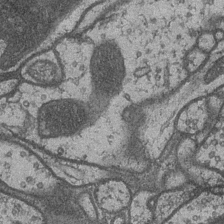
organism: Drosophila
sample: Optic medulla